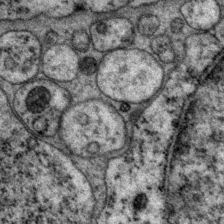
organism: P. pacificus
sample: Pharynx